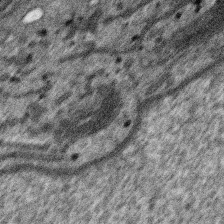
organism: Human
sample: Lung epithelial cells infected with SARS-CoV-2